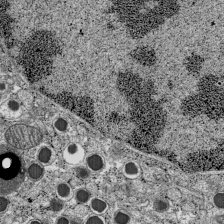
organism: C57BL Mouse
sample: Pancreatic islet